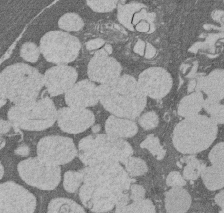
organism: Rat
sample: Salivary granule